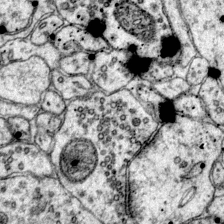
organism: Mouse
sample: Primary visual cortex